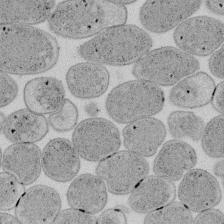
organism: E. coli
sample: Bacterial nucleoid